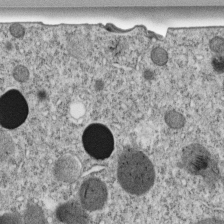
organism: C. elegans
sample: C. elegans embryo early stage